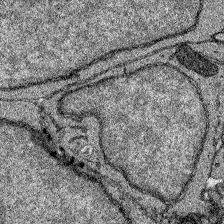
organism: Zebrafish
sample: Larval olfactory bulb